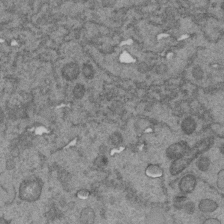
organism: C. elegans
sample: C. elegans embryo early stage